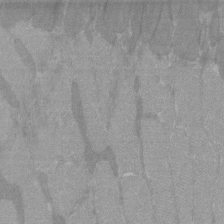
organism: C57BL Mouse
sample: Tibialis anterior muscle cell